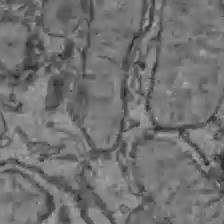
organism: C57BL Mouse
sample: Liver